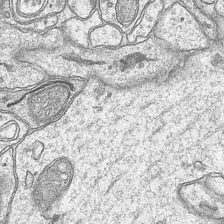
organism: Mouse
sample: CA1 Hippocampus